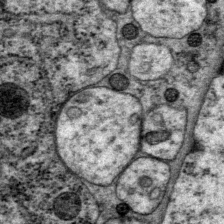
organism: P. pacificus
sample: Pharynx